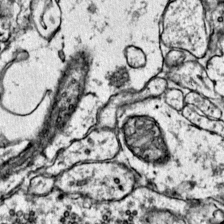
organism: Mouse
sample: Primary visual cortex